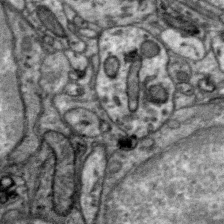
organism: Zebra finch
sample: Brain